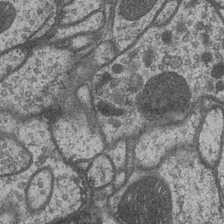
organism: Drosophila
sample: Optic medulla